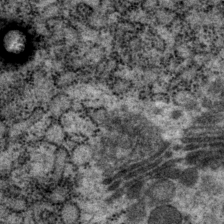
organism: P. pacificus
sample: Pharynx